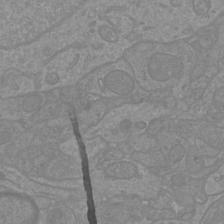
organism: Mouse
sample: Cortical neurons